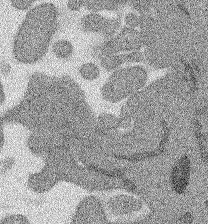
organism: Human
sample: HeLa cells